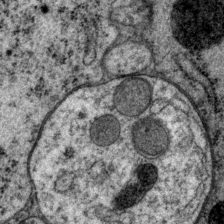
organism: P. pacificus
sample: Pharynx